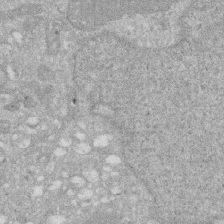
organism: Human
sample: HIV infected U937 cells